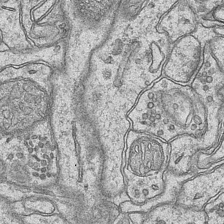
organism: Mouse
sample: CA1 Hippocampus